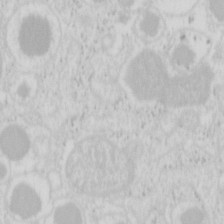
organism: Mouse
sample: Pancreas